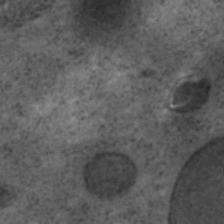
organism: C. elegans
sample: C. elegans embryo